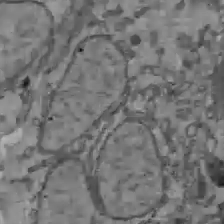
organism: C57BL Mouse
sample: Liver